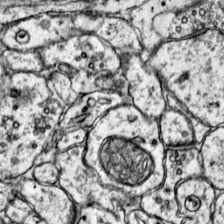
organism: Mouse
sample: Primary visual cortex